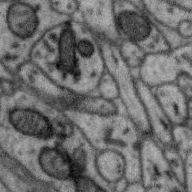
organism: Zebra finch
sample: Brain